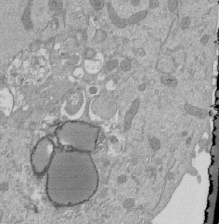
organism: Mouse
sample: ED-1 cell nuclei; centrioles